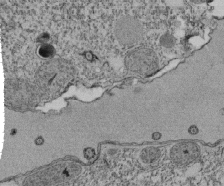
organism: Tetrahymena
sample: Cilia in tetrahymena